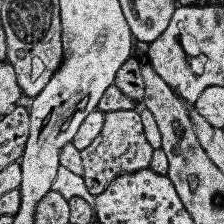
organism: Human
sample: Temporal Lobe